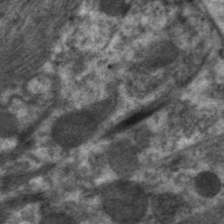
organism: C. elegans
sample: Pharynx